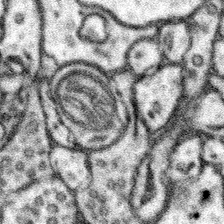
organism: Mouse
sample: Somatosensory cortex neuropil